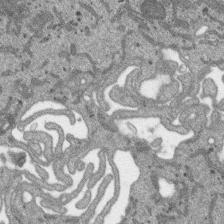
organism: Human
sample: Lung epithelial cells infected with SARS-CoV-2